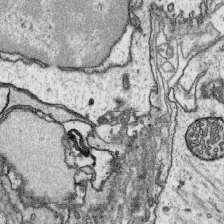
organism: Platynereis dumerilii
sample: Parapodia